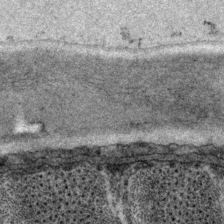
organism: P. pacificus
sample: Pharynx